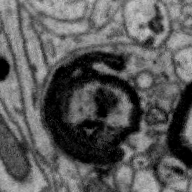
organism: Zebra finch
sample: Brain